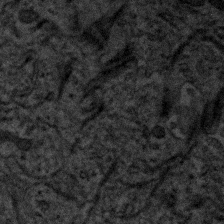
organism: Human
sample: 1205lu cells